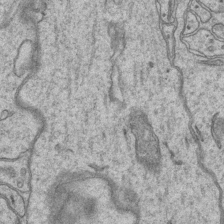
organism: Mouse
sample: CA1 Hippocampus